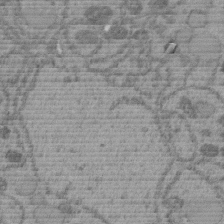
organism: C. elegans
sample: C. elegans embryo early stage